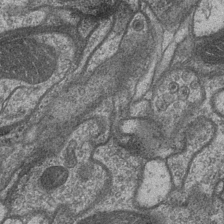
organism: Drosophila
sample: Optic medulla